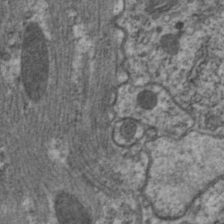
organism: C. elegans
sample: Pharynx